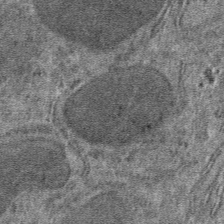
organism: Mouse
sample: Mouse hepatocytes